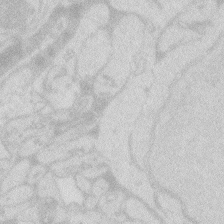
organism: Zebrafish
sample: Macrophage